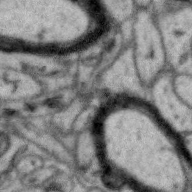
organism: Zebra finch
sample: Brain